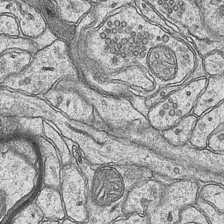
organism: Mouse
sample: CA1 Hippocampus